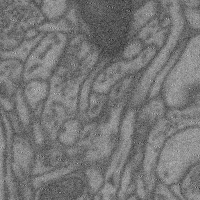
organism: Mouse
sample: Cerebral cortex